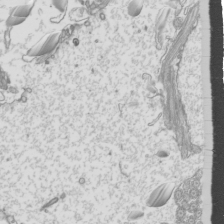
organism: Mouse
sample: Cilia; mouse epididymis